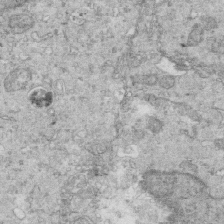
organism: Mouse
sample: Multiciliated cells